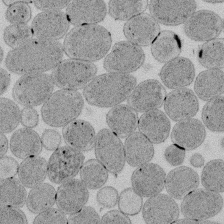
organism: E. coli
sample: Bacterial nucleoid